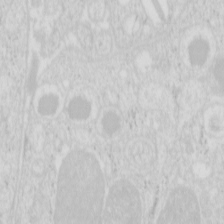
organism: Mouse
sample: Pancreas